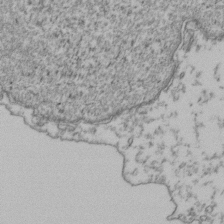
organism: Human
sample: Activated Jurkat CD4+ T cells